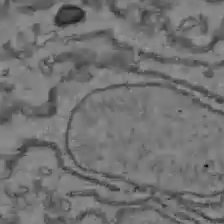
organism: C57BL Mouse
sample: Liver